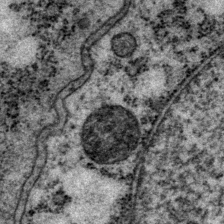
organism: P. pacificus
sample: Pharynx